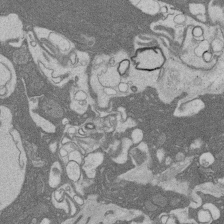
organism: Rat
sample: Salivary granule